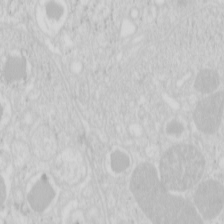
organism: Mouse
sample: Pancreas